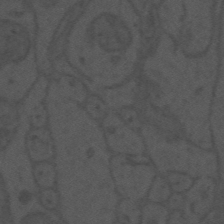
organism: Mouse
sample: Suprachiasmatic nucleus